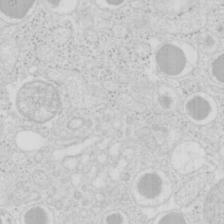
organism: Mouse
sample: Pancreas